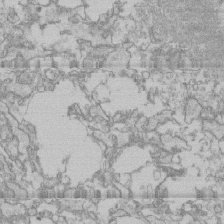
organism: Human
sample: CRL-1474